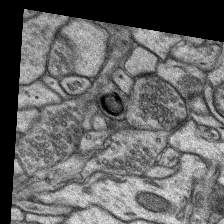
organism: Rat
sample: Hippocampus